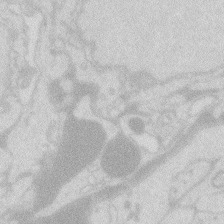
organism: Zebrafish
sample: Macrophage